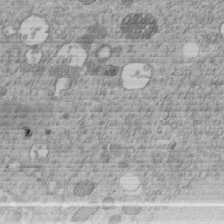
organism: C. elegans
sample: C. elegans embryo early stage